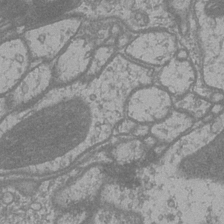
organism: Drosophila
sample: Optic medulla